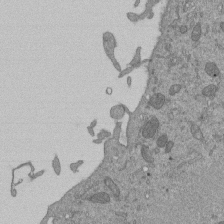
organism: Mouse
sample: ED-1 cell nuclei; centrioles